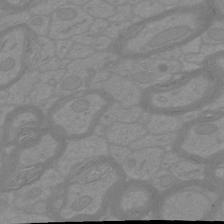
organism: Mouse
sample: Cortical neurons